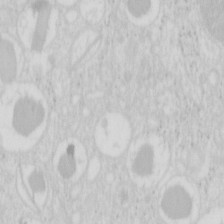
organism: Mouse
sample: Pancreas